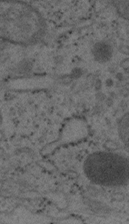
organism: Human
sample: HeLa cells